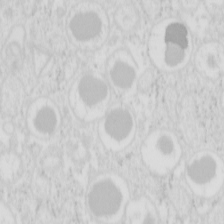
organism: Mouse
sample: Pancreas